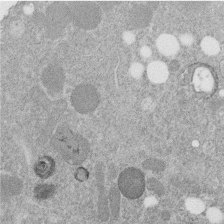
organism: C. elegans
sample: C. elegans embryo early stage